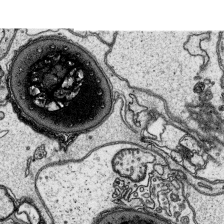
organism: Platynereis dumerilii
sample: Parapodia